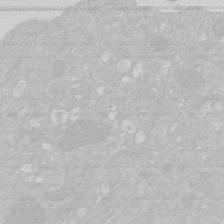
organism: Human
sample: HIV infected U937 cells